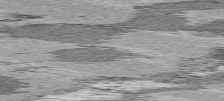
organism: C57BL Mouse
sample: Heart